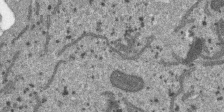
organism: Human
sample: Lung epithelial cells infected with SARS-CoV-2